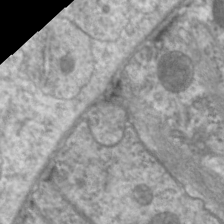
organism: C. elegans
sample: Pharynx